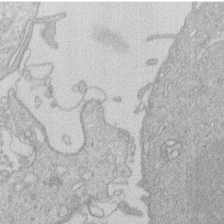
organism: Human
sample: Macrophage cells